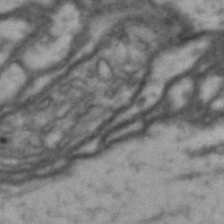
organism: Drosophila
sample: Brain